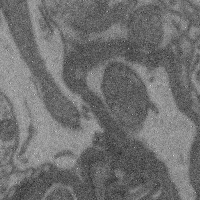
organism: Mouse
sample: Cerebral cortex